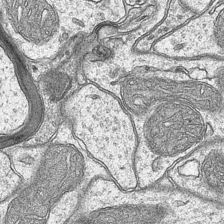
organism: Mouse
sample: CA1 Hippocampus